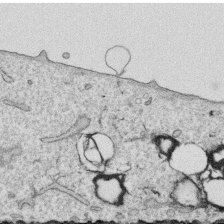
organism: Human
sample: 1205lu cells